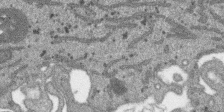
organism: Human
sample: Lung epithelial cells infected with SARS-CoV-2